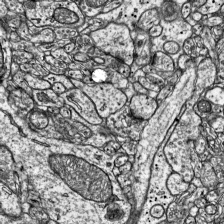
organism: Mouse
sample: Visual Cortex